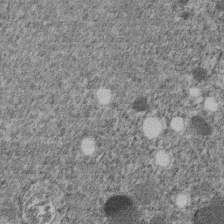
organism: C. elegans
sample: C. elegans embryo early stage